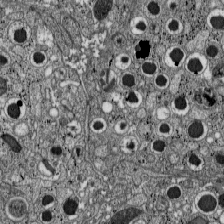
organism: C57BL Mouse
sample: Pancreatic islet